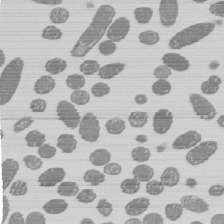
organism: E. coli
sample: Bacterial nucleoid